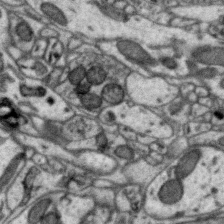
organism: Zebra finch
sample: Brain